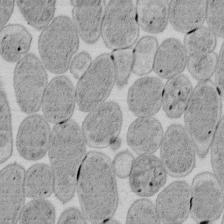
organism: E. coli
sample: Bacterial nucleoid